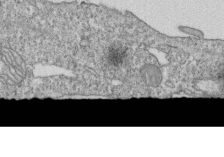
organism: Human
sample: HeLa cell HIV synapse